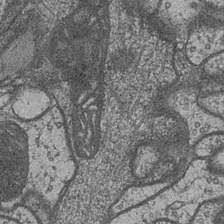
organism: Drosophila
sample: Optic medulla